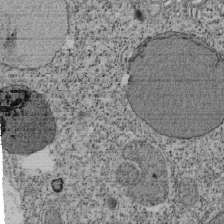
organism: Tetrahymena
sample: Cilia in tetrahymena